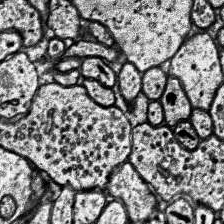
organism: Human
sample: Temporal Lobe